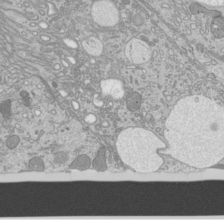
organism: Mouse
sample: Cilia; mouse epididymis